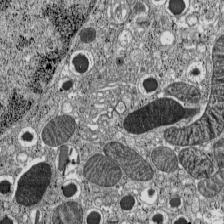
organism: C57BL Mouse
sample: Pancreatic islet